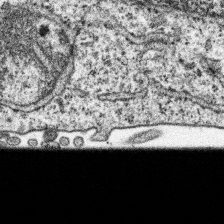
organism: Human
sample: HeLa cells